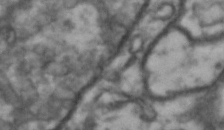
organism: Drosophila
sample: Brain